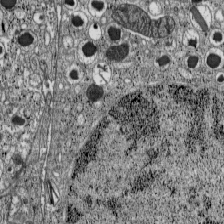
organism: C57BL Mouse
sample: Pancreatic islet